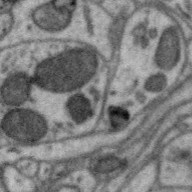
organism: Zebra finch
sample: Brain